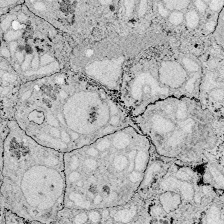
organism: Zebrafish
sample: Whole-Brain